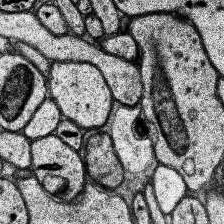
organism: Human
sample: Temporal Lobe